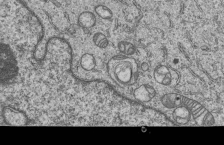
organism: Human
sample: MDA-MB-231 cells